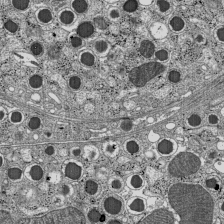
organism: C57BL Mouse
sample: Pancreatic islet